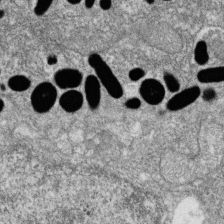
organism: Zebrafish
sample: Cilia; retinal pigment epithelium